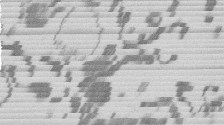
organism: Mouse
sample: Dividing mouse embryo 1 cell stage